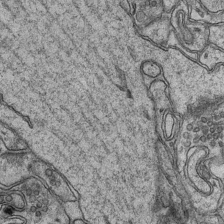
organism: Mouse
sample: CA1 Hippocampus